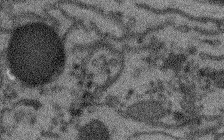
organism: Arabidopsis thaliana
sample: Root tip